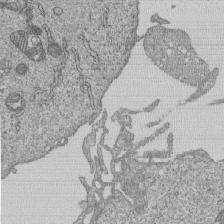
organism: Human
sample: MDA-MB-231 cells